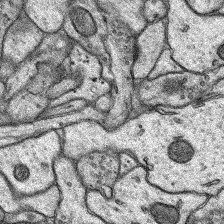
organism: Rat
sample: Hippocampus